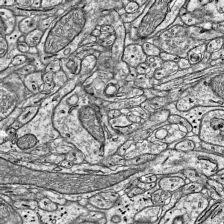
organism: Mouse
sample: Visual Cortex